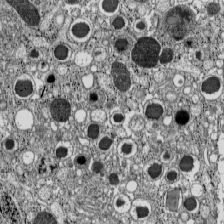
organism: C57BL Mouse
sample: Pancreatic islet